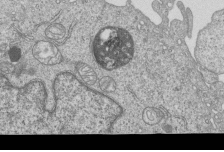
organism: Human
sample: MDA-MB-231 cells